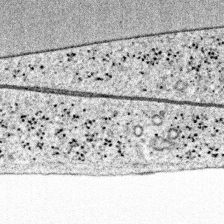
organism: Human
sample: HeLa cells